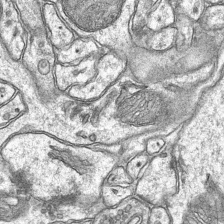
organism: Mouse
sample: CA1 Hippocampus